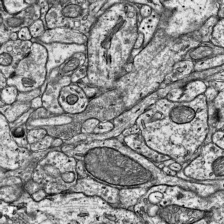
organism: Mouse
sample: Visual Cortex